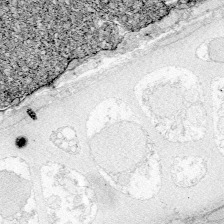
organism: Zebrafish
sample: Whole-Brain